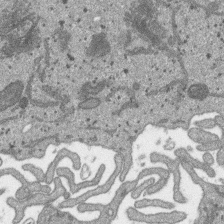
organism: Human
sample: Lung epithelial cells infected with SARS-CoV-2